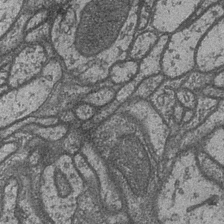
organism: Drosophila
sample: Optic medulla